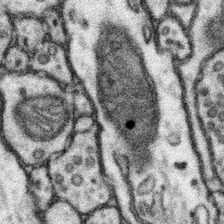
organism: Mouse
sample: Somatosensory cortex neuropil